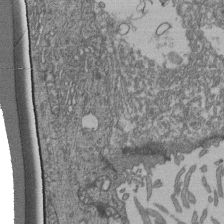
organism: Human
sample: Retinal organoid Rod and Cone cells